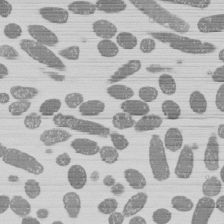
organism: E. coli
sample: Bacterial nucleoid